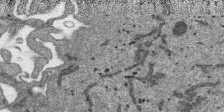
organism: Human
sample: Lung epithelial cells infected with SARS-CoV-2